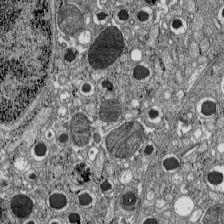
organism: C57BL Mouse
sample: Pancreatic islet